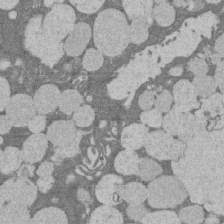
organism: Rat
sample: Salivary granule